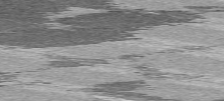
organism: C57BL Mouse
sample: Heart